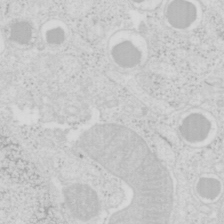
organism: Mouse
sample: Pancreas